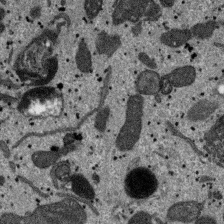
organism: Human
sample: Lung epithelial cells, uninfected (mock) control